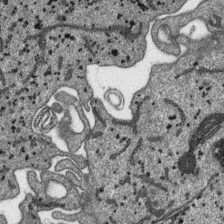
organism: Human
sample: Lung epithelial cells infected with SARS-CoV-2